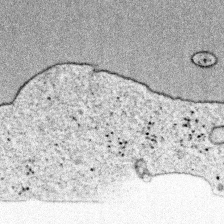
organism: Human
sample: HeLa cells